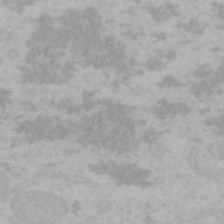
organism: Mouse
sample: Choroid plexus